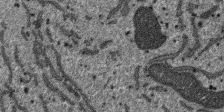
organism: Human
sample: Lung epithelial cells infected with SARS-CoV-2